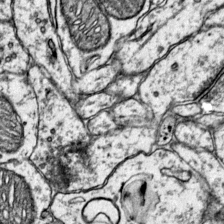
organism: Mouse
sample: Primary visual cortex